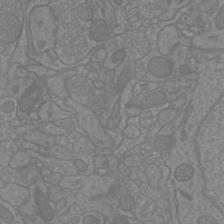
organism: Mouse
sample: Cortical neurons